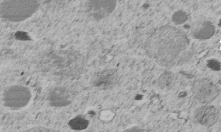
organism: C. elegans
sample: C. elegans embryo early stage